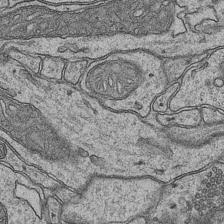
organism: Mouse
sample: CA1 Hippocampus